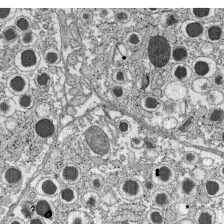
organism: C57BL Mouse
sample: Pancreatic islet